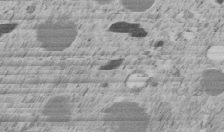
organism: C. elegans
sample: C. elegans embryo early stage